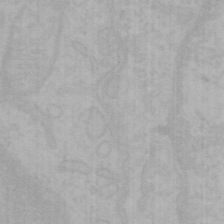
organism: Mouse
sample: Choroid plexus